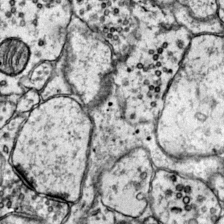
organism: Mouse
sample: Primary visual cortex